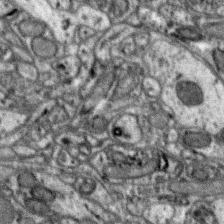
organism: Zebra finch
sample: Brain